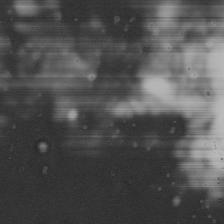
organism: Mouse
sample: Cilia; mouse epididymis